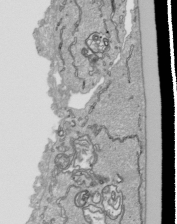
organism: Human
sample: Mitochondria in HCT116 cells